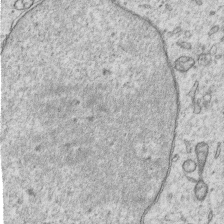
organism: Human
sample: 1205lu cells